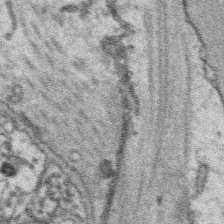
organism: Platynereis dumerilii